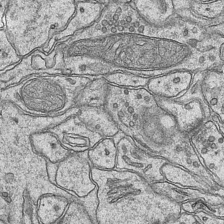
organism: Mouse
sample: CA1 Hippocampus